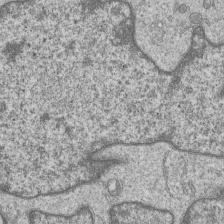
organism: Human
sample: MDA-MB-231 cells